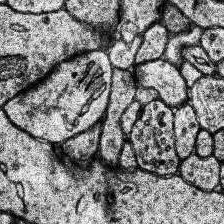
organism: Human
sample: Temporal Lobe